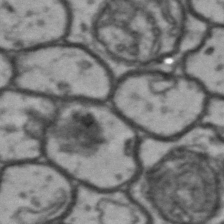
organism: Drosophila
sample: Brain